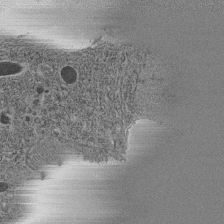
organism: C. elegans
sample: C. elegans pharynx